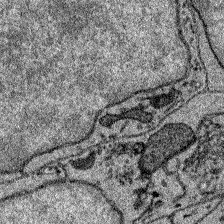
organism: Zebrafish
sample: Larval olfactory bulb